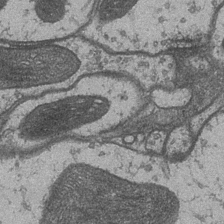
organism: Drosophila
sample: Optic medulla